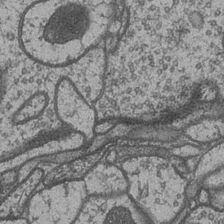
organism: Drosophila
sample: Optic medulla